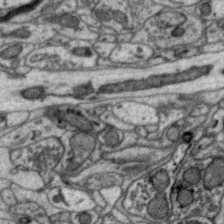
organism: Zebra finch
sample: Brain